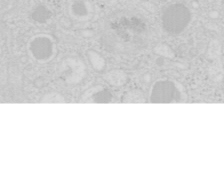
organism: Mouse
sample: Pancreas